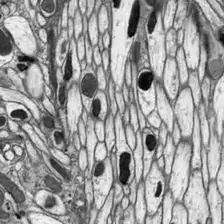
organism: Drosophila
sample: Optic lobe